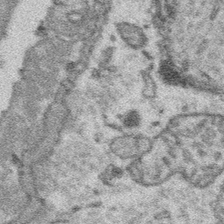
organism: Platynereis dumerilii